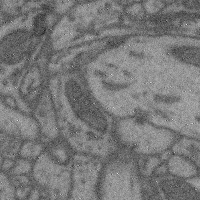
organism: Mouse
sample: Cerebral cortex